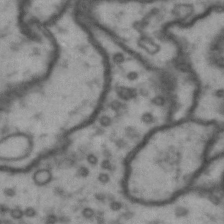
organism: Drosophila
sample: Brain